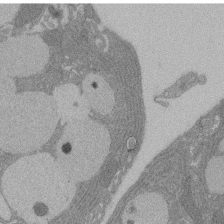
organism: Rat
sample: Salivary granule